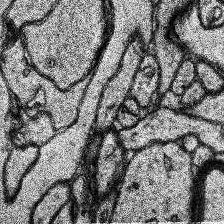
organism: Human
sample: Temporal Lobe